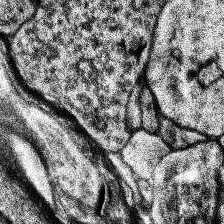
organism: Human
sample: Temporal Lobe